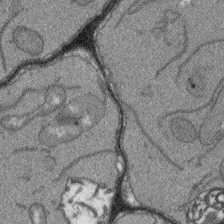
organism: Arabidopsis thaliana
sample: Root tip